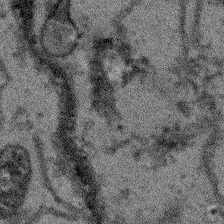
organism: Arabidopsis thaliana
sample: Root tip